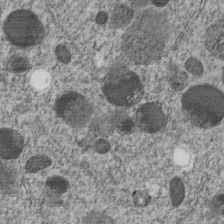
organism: C. elegans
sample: C. elegans embryo early stage